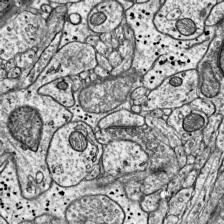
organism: Mouse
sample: Visual Cortex